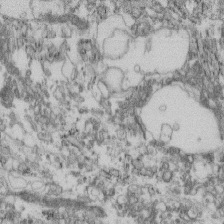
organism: Mouse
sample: Cilia; retinal pigment epithelium